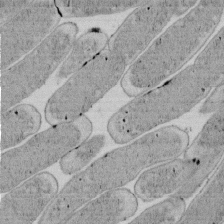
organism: E. coli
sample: Bacterial nucleoid